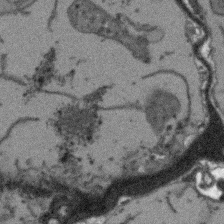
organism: Arabidopsis thaliana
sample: Root tip